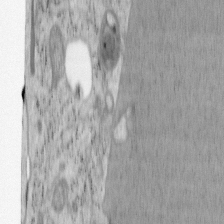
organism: Human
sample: HeLa cells